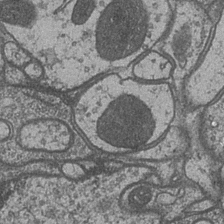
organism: Drosophila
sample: Optic medulla